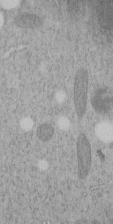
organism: C. elegans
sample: C. elegans embryo early stage